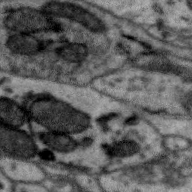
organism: Zebra finch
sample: Brain